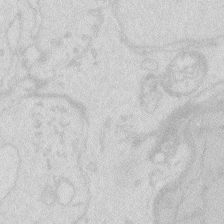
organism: Zebrafish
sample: Macrophage